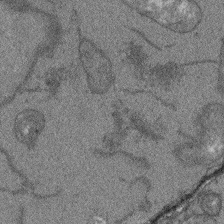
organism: Arabidopsis thaliana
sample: Root tip